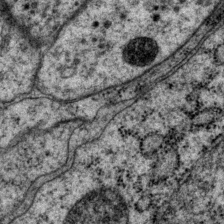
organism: P. pacificus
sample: Pharynx